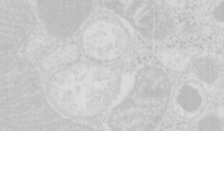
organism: Mouse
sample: Pancreas